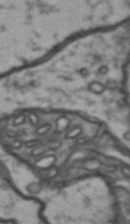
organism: Drosophila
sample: Brain